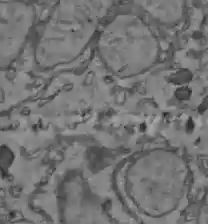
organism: C57BL Mouse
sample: Liver